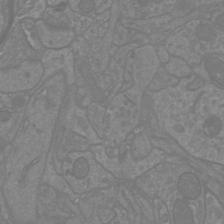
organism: Mouse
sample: Cortical neurons